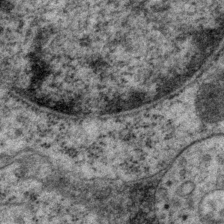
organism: P. pacificus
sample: Pharynx